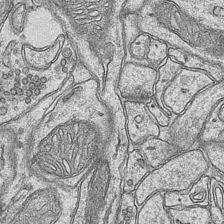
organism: Mouse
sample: CA1 Hippocampus